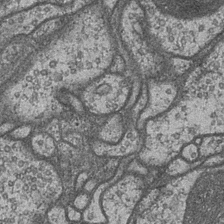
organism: Drosophila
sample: Optic medulla